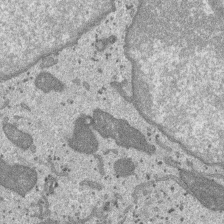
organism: Human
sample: Lung epithelial cells infected with SARS-CoV-2